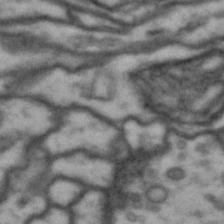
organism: Drosophila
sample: Brain